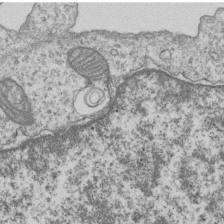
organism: Human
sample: MDA-MB-231 cells